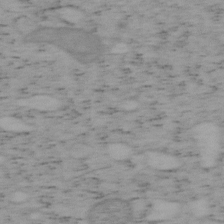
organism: Mouse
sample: OT-I killer T cells with ID8 ovarian cancer cells